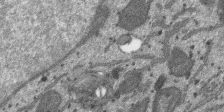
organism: Human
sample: Lung epithelial cells infected with SARS-CoV-2